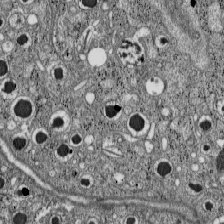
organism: C57BL Mouse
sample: Pancreatic islet